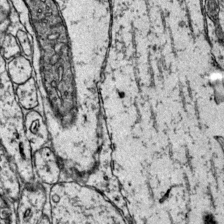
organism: Mouse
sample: Primary visual cortex